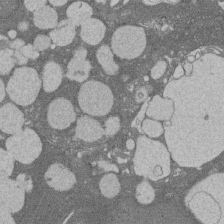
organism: Rat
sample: Salivary granule